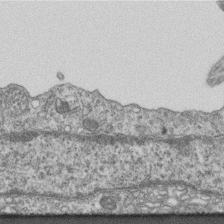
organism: Mouse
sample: Centriole in ependymal cells